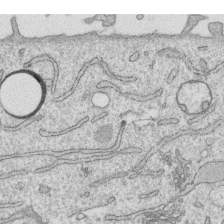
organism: Human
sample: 1205lu cells